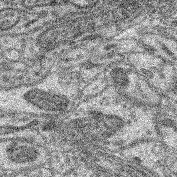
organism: Mouse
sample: Retina